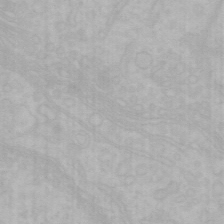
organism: Mouse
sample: Choroid plexus